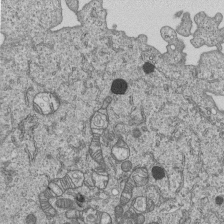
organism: Human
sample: MDA-MB-231 cells